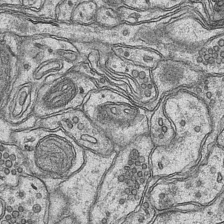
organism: Mouse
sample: CA1 Hippocampus